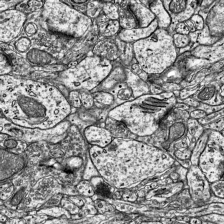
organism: Mouse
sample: Visual Cortex